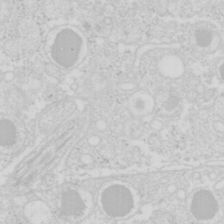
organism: Mouse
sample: Pancreas